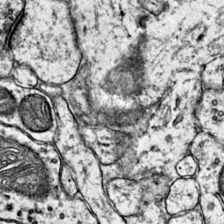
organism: Mouse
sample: Primary visual cortex